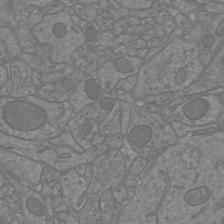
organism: Mouse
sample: Cortical neurons